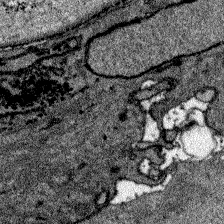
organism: Zebrafish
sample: Larval olfactory bulb